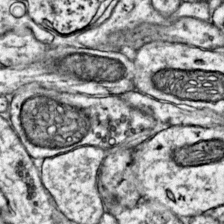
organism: Mouse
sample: Primary visual cortex